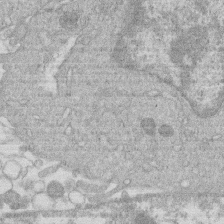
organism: Human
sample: Macrophage cells